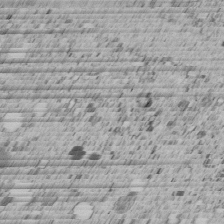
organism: C. elegans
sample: C. elegans embryo early stage